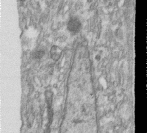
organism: Human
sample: Centriole in RPE cells